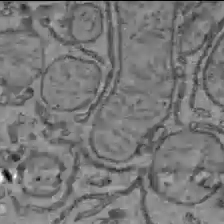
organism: C57BL Mouse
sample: Liver